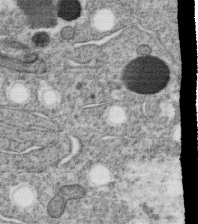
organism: C. elegans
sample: C. elegans oocyte; sperm cells